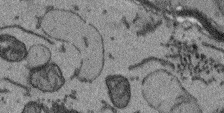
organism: Arabidopsis thaliana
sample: Root tip